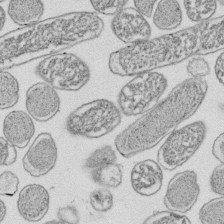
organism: E. coli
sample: Bacterial nucleoid